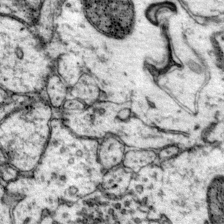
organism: Mouse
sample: Primary visual cortex